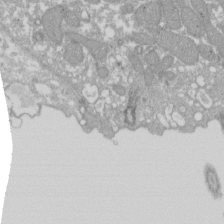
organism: Xenopus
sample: Cilia; centrioles in frog embryo cells